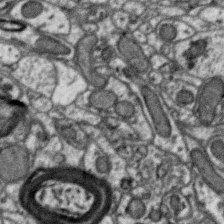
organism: Zebra finch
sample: Brain